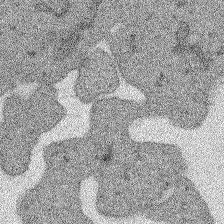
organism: Human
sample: HeLa cells